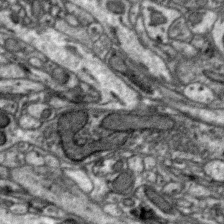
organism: Zebra finch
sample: Brain